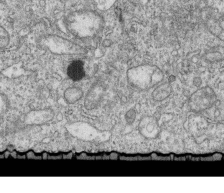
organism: Human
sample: HeLa cell HIV synapse